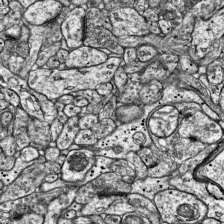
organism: Mouse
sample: Visual Cortex